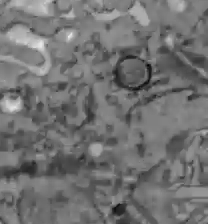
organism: C57BL Mouse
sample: Liver